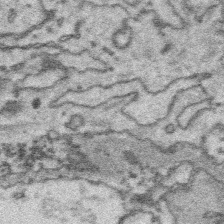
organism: Platynereis dumerilii